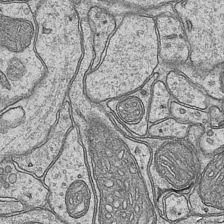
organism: Mouse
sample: CA1 Hippocampus